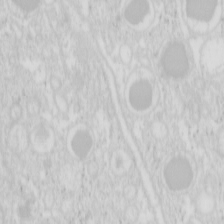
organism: Mouse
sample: Pancreas